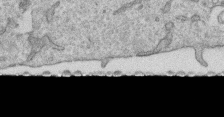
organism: Human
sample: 1205lu cells